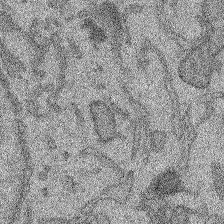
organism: Human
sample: HeLa cells